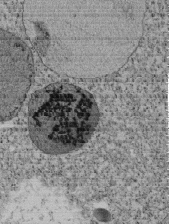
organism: Tetrahymena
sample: Cilia in tetrahymena